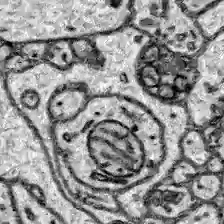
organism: Zebrafish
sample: Brain